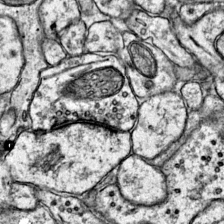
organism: Mouse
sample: Primary visual cortex